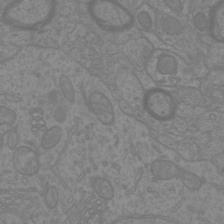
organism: Mouse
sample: Cortical neurons